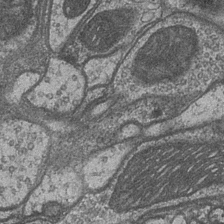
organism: Drosophila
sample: Optic medulla